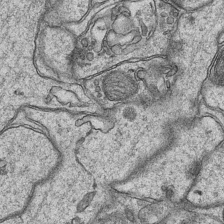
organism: Mouse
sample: CA1 Hippocampus